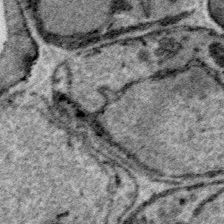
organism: Plasmodium falciparum